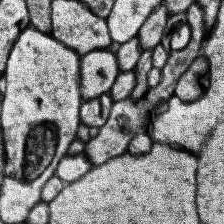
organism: Human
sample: Temporal Lobe